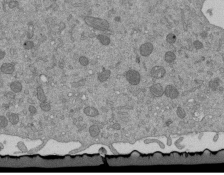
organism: Mouse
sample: ED-1 cell nuclei; centrioles